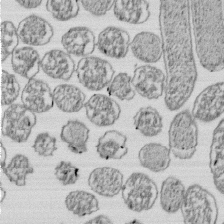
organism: E. coli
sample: Bacterial nucleoid